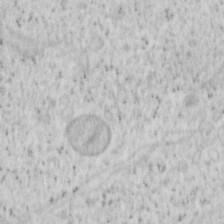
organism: Human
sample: HeLa cells